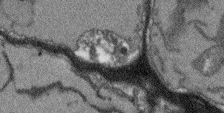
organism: Arabidopsis thaliana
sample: Root tip